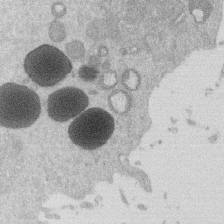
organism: Mouse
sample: Dividing mouse embryo 1 cell stage